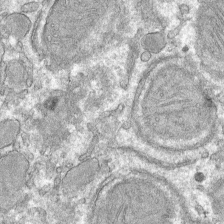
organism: Mouse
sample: Mouse hepatocytes